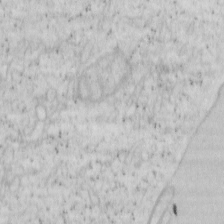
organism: Human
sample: HeLa cells